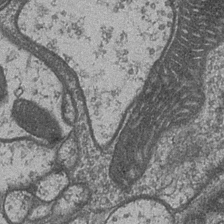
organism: Drosophila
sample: Optic medulla